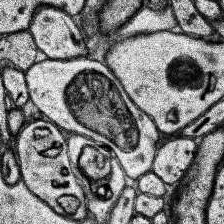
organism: Human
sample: Temporal Lobe